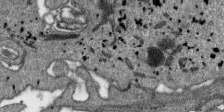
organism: Human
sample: Lung epithelial cells, uninfected (mock) control